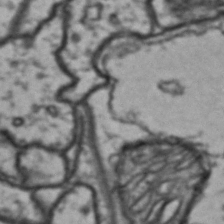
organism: Drosophila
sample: Brain